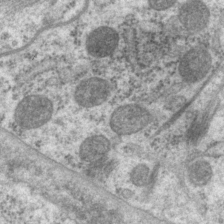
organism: P. pacificus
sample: Pharynx